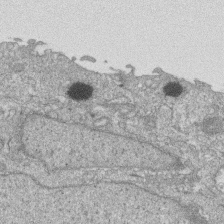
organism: Human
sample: HeLa cell HIV synapse